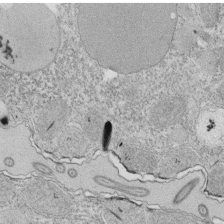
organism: Tetrahymena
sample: Cilia in tetrahymena